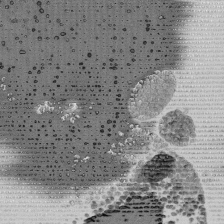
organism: Mouse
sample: Activated Pmel transgenic CD8+ T Cells